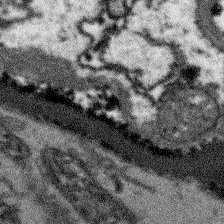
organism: Arabidopsis thaliana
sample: Root tip